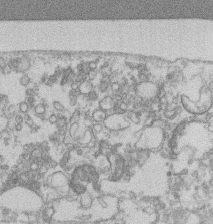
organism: Mouse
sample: T cell stromal cell synapse